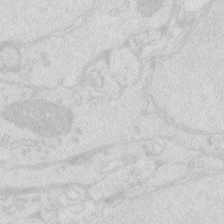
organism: Zebrafish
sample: Macrophage